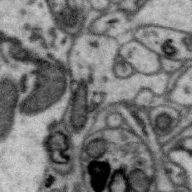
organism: Zebra finch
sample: Brain